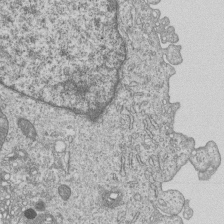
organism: Human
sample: MDA-MB-231 cells